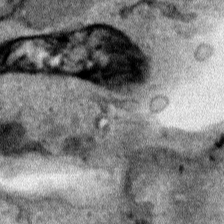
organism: Human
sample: Mitochondria in HCT116 cells